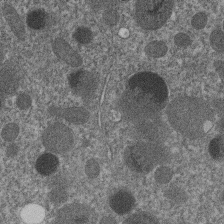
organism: C. elegans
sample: C. elegans embryo early stage